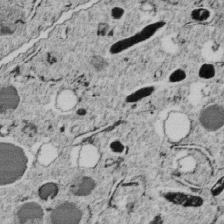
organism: C. elegans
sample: C. elegans embryo early stage